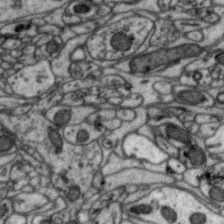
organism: Zebra finch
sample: Brain